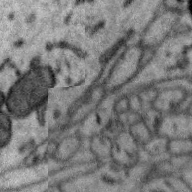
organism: Zebra finch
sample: Brain